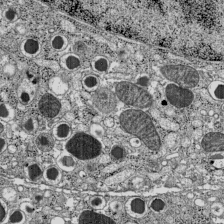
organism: C57BL Mouse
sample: Pancreatic islet